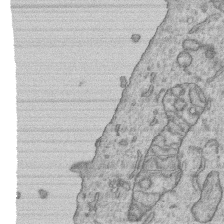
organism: Human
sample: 1205lu cells